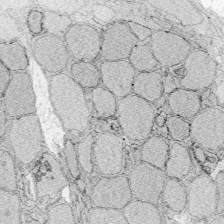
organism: Zebrafish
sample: Whole-Brain